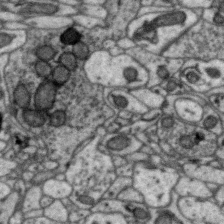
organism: Zebra finch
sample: Brain